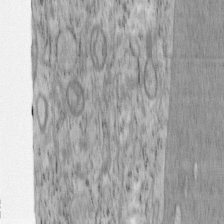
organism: Human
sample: HeLa cells